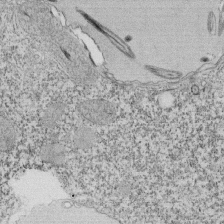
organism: Tetrahymena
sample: Cilia in tetrahymena